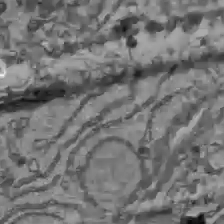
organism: C57BL Mouse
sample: Liver